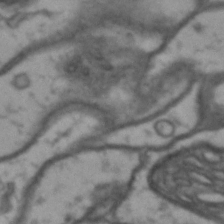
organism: Drosophila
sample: Brain